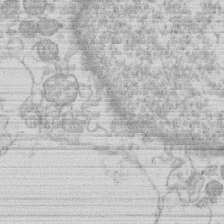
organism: Human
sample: Macrophage cells